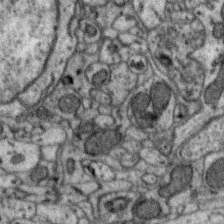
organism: Zebra finch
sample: Brain